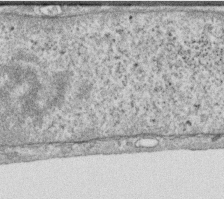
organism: Human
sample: Centriole in RPE cells